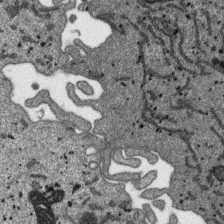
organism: Human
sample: Lung epithelial cells infected with SARS-CoV-2